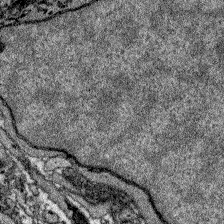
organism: Zebrafish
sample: Larval olfactory bulb